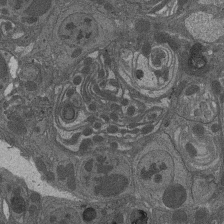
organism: Drosophila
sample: Antenna